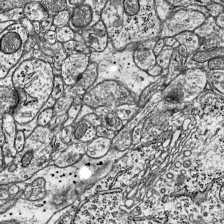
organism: Mouse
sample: Visual Cortex